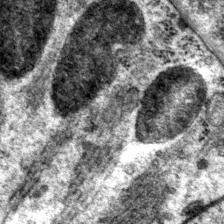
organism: P. pacificus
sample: Pharynx